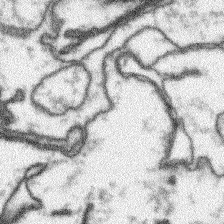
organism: Arabidopsis thaliana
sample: Root tip